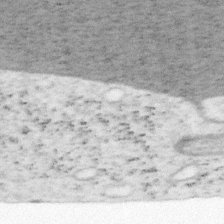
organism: Mouse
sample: OT-I killer T cells with ID8 ovarian cancer cells